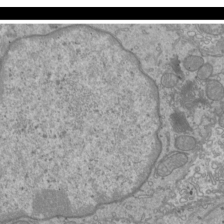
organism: Mouse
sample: Cilia; mouse epididymis